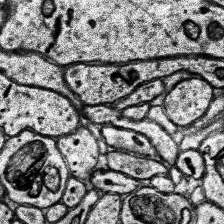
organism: Human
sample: Temporal Lobe